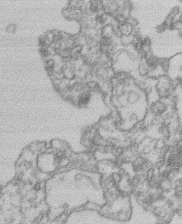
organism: Mouse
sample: T cell stromal cell synapse